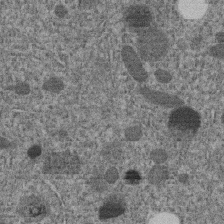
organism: C. elegans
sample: C. elegans embryo early stage